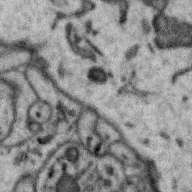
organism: Zebra finch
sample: Brain